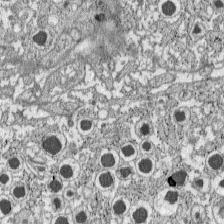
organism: C57BL Mouse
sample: Pancreatic islet